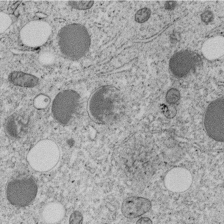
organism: C. elegans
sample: C. elegans embryo early stage